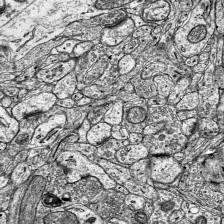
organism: Mouse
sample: Visual Cortex